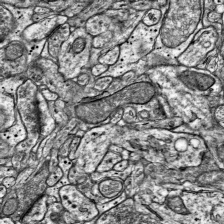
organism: Mouse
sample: Visual Cortex